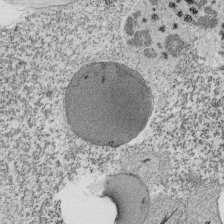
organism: Tetrahymena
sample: Cilia in tetrahymena